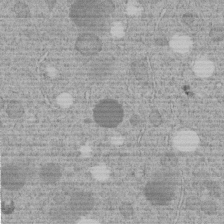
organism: C. elegans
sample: C. elegans embryo early stage